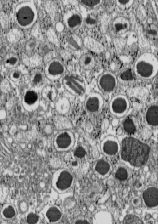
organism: C57BL Mouse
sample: Pancreatic islet